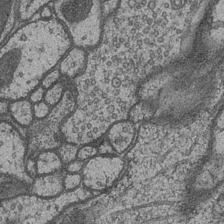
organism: Drosophila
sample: Optic medulla